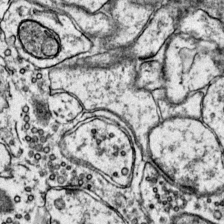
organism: Mouse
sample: Primary visual cortex